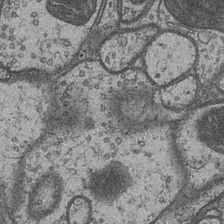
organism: Drosophila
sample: Optic medulla